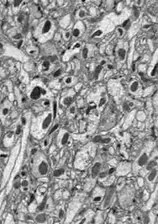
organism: Drosophila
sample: Optic lobe